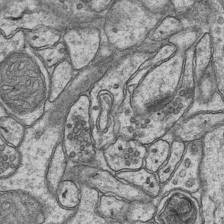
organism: Mouse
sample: CA1 Hippocampus